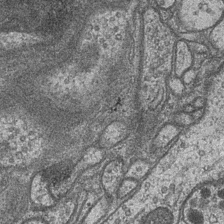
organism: Drosophila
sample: Optic medulla